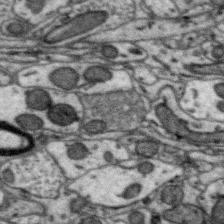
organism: Zebra finch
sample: Brain